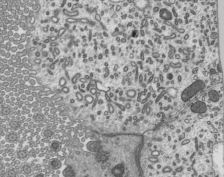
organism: Mouse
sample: Mouse epididymis efferent ductule cilia